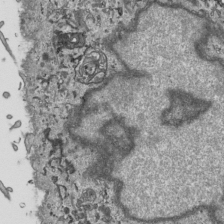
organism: Human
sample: Mitochondria in HCT116 cells